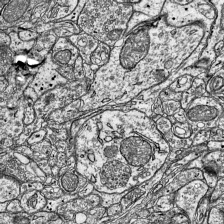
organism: Mouse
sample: Visual Cortex